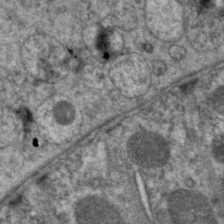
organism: C. elegans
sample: Pharynx